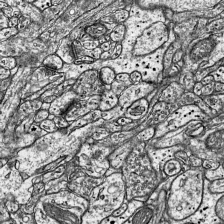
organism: Mouse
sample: Visual Cortex